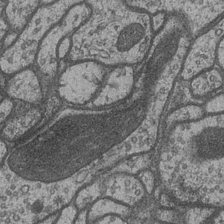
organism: Drosophila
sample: Optic medulla